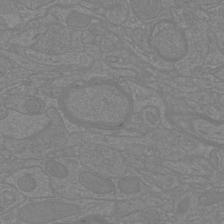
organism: Mouse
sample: Cortical neurons